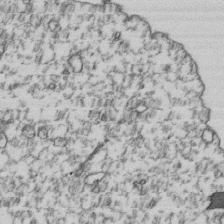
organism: Human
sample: Activated Jurkat CD4+ T cells